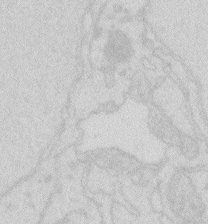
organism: Zebrafish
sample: Macrophage